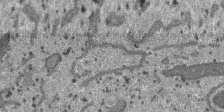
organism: Human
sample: Lung epithelial cells infected with SARS-CoV-2